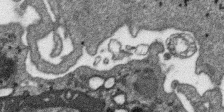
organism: Human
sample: Lung epithelial cells infected with SARS-CoV-2